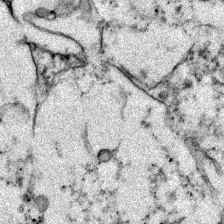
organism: Zebrafish